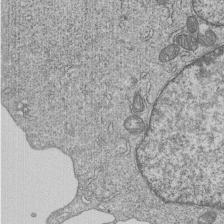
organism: Human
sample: MDA-MB-231 cells